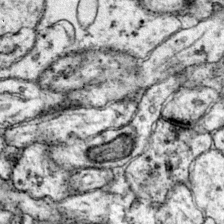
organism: Mouse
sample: Primary visual cortex